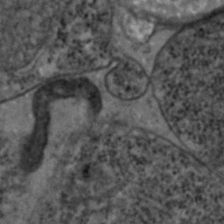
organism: Zebrafish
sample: Zebrafish embryo